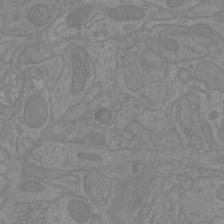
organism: Mouse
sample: Cortical neurons